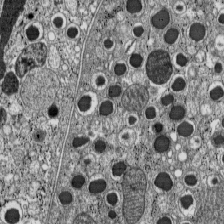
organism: C57BL Mouse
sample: Pancreatic islet